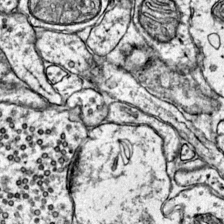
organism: Mouse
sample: Primary visual cortex